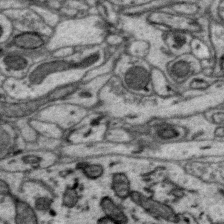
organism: Zebra finch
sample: Brain